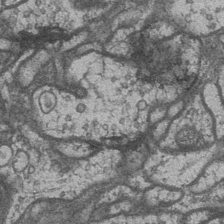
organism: Drosophila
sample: Optic medulla